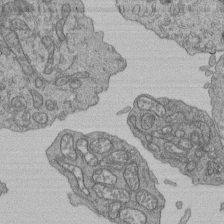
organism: Human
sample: Retinal organoid Rod and Cone cells